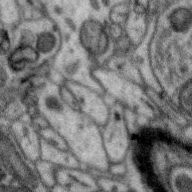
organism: Zebra finch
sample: Brain